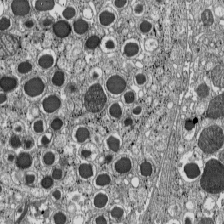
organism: C57BL Mouse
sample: Pancreatic islet